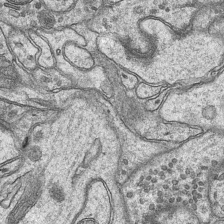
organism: Mouse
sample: CA1 Hippocampus